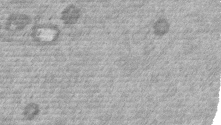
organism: Mouse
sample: Dividing mouse embryo 1 cell stage